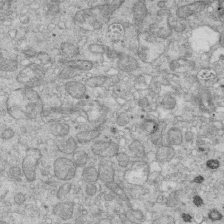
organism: Mouse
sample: Multiciliated cells